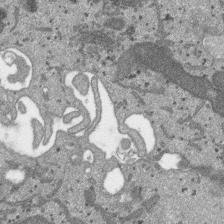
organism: Human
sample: Lung epithelial cells infected with SARS-CoV-2